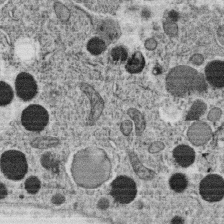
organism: C. elegans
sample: C. elegans oocyte; sperm cells